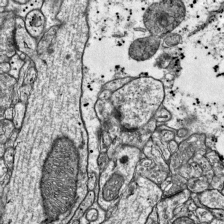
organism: Mouse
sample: Visual Cortex